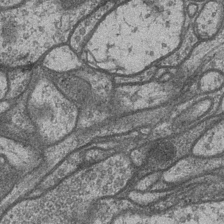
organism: Drosophila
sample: Optic medulla